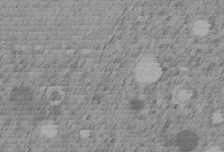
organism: C. elegans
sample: C. elegans embryo early stage